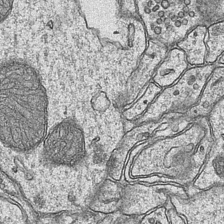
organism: Mouse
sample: CA1 Hippocampus